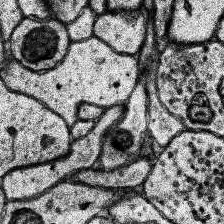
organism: Human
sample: Temporal Lobe